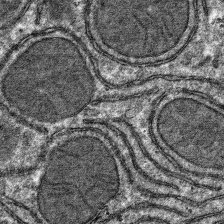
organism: Mouse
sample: Mouse hepatocytes